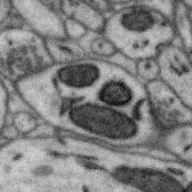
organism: Zebra finch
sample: Brain